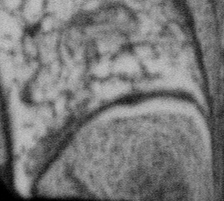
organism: Gemmata obscuriglobus